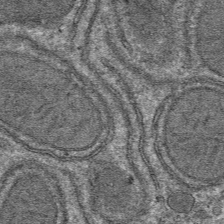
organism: Mouse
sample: Mouse hepatocytes